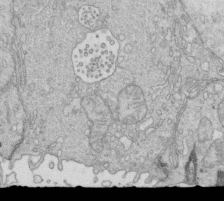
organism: Mouse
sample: Multiciliated cells